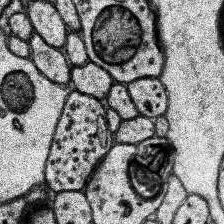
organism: Human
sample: Temporal Lobe